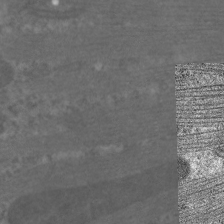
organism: C. elegans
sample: Pharynx